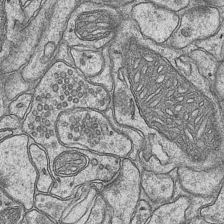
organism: Mouse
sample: CA1 Hippocampus